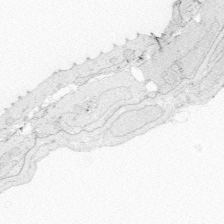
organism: Zebrafish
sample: Whole-Brain